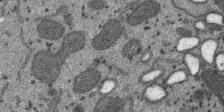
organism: Human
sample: Lung epithelial cells infected with SARS-CoV-2